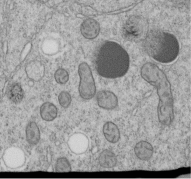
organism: C. elegans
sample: C. elegans embryo early stage